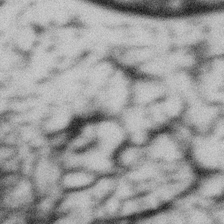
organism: Gemmata obscuriglobus